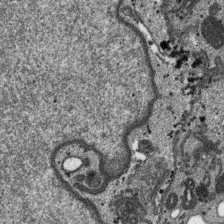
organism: Human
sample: Lung epithelial cells infected with SARS-CoV-2